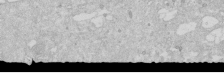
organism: Human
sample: Caco-2 cells